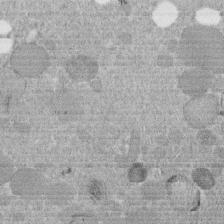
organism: C. elegans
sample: C. elegans embryo early stage